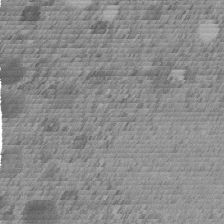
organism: C. elegans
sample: C. elegans embryo early stage